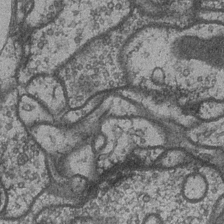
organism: Drosophila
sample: Optic medulla